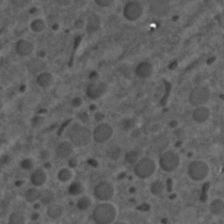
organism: C. elegans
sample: C. elegans embryo